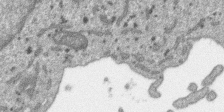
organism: Human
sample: Lung epithelial cells infected with SARS-CoV-2